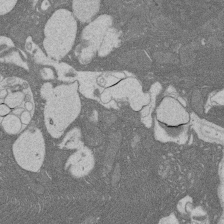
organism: Rat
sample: Salivary granule